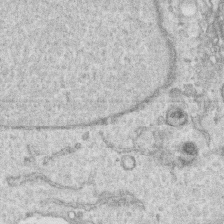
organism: Human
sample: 1205lu cells